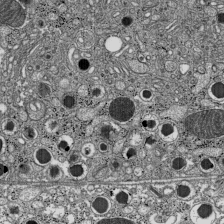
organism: C57BL Mouse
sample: Pancreatic islet